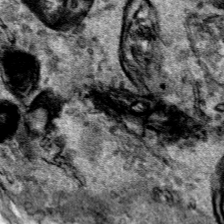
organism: Human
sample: Mitochondria in HCT116 cells